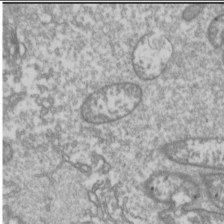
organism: Drosophila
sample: Cell division; meiosis; drosophila spermatocytes